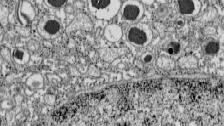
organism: C57BL Mouse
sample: Pancreatic islet